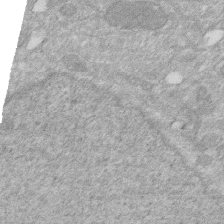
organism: Human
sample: HIV infected U937 cells